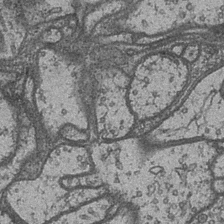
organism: Drosophila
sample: Optic medulla